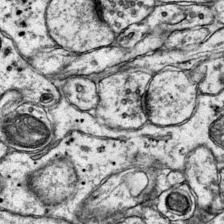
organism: Mouse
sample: Primary visual cortex